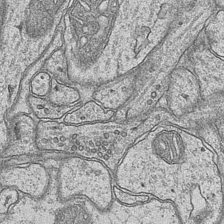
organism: Mouse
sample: CA1 Hippocampus